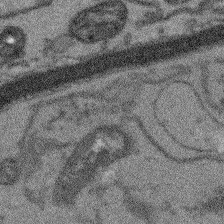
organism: Arabidopsis thaliana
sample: Root tip